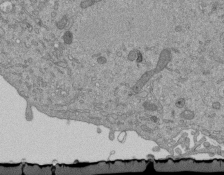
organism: Mouse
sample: ED-1 cell nuclei; centrioles